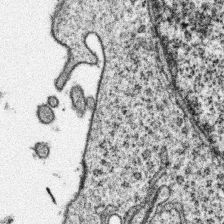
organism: Human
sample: HeLa cells